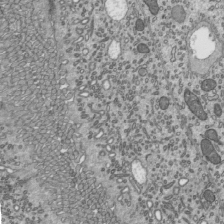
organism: Mouse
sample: Mouse epididymis efferent ductule cilia